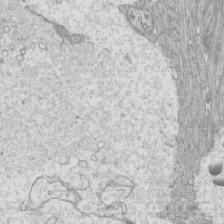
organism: Mouse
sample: Cilia; mouse epididymis